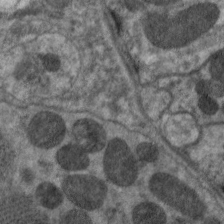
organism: C. elegans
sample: Pharynx